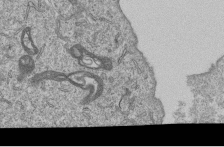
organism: Human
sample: MDA-MB-231 cells